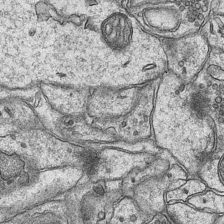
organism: Mouse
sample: CA1 Hippocampus